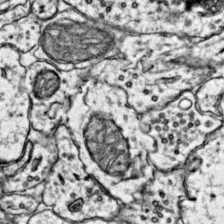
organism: Mouse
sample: Primary visual cortex